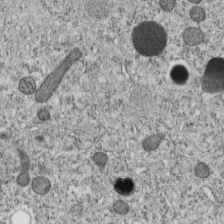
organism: C. elegans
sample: C. elegans embryo early stage